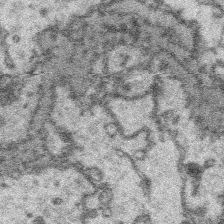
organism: Platynereis dumerilii